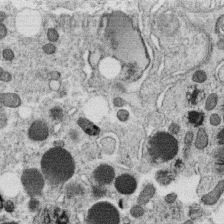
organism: C. elegans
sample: C. elegans oocyte; sperm cells